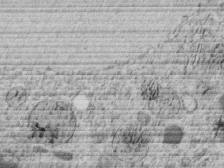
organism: C. elegans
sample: C. elegans embryo early stage